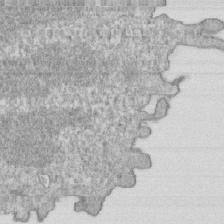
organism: Mouse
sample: Activated OT-1 CD8+ T cells